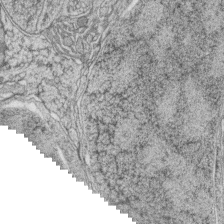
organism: Zebrafish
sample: synaptic ribbons in rod cells and cone cells